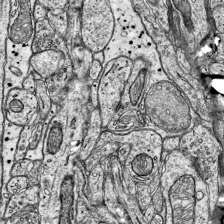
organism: Mouse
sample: Visual Cortex